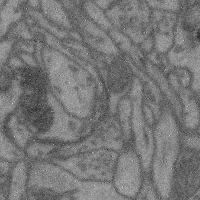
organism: Mouse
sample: Cerebral cortex